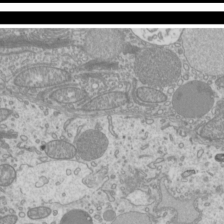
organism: Mouse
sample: Cilia; mouse epididymis